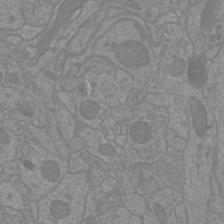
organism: Mouse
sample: Cortical neurons